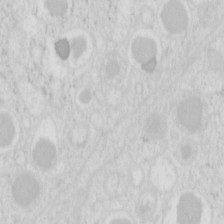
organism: Mouse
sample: Pancreas